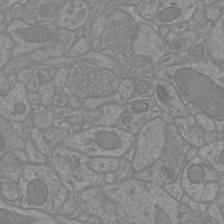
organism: Mouse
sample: Cortical neurons